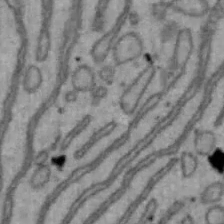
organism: Mouse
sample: Liver